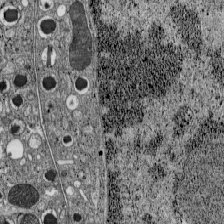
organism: C57BL Mouse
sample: Pancreatic islet